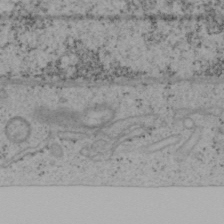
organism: Human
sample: HeLa cells